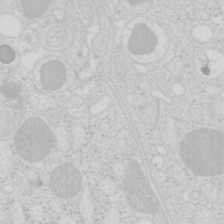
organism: Mouse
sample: Pancreas